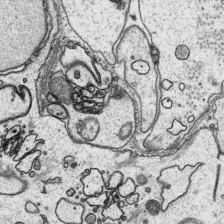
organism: Platynereis dumerilii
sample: Parapodia